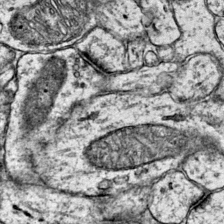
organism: Mouse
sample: Primary visual cortex